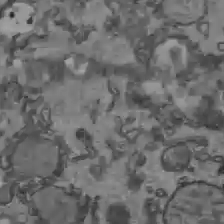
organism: C57BL Mouse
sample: Liver